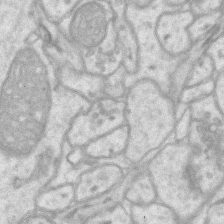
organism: Mouse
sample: CA1 Hippocampus